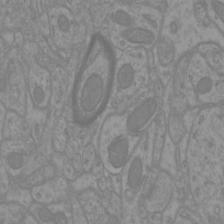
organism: Mouse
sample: Cortical neurons